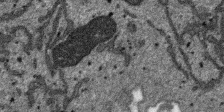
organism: Human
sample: Lung epithelial cells infected with SARS-CoV-2